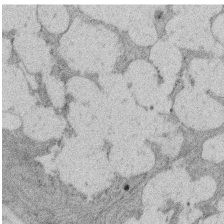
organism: Rat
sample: Salivary granule